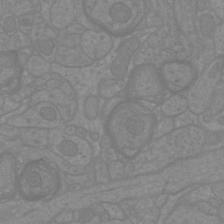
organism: Mouse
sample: Cortical neurons